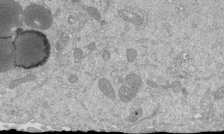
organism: Mouse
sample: ED-1 cell nuclei; centrioles